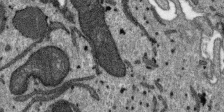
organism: Human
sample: Lung epithelial cells, uninfected (mock) control